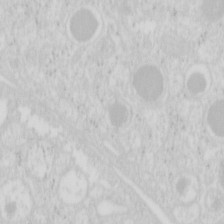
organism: Mouse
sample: Pancreas